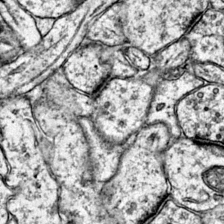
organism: Mouse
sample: Primary visual cortex